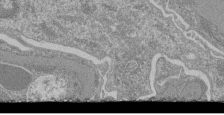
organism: Mouse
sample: Glomerulus